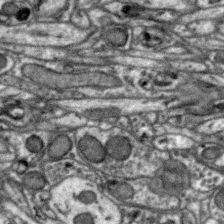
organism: Zebra finch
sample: Brain